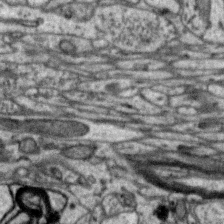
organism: Zebra finch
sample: Brain